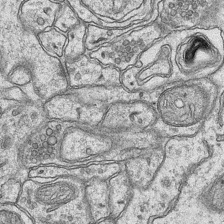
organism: Mouse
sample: CA1 Hippocampus